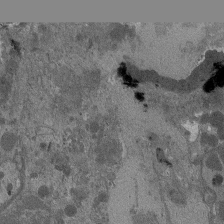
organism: Drosophila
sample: Antenna